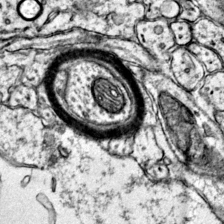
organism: Mouse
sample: Primary visual cortex